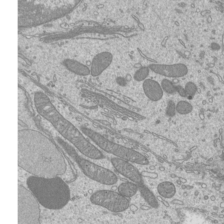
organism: Mouse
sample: Cilia; mouse epididymis